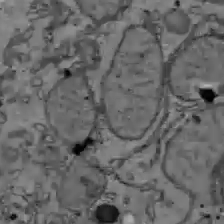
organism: C57BL Mouse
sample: Liver